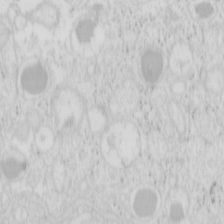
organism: Mouse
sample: Pancreas